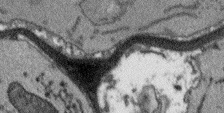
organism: Arabidopsis thaliana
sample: Root tip